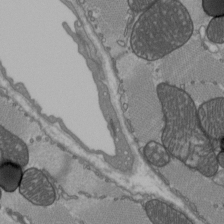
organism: C57BL Mouse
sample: Heart